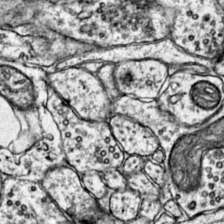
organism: Mouse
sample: Primary visual cortex